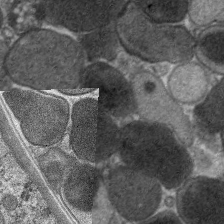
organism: C. elegans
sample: Pharynx